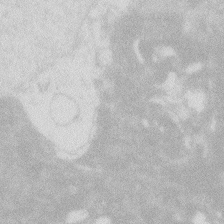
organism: Zebrafish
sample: Macrophage